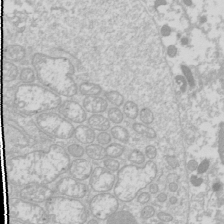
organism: Drosophila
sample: Cell division; meiosis; drosophila spermatocytes